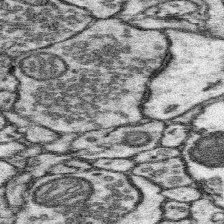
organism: Mouse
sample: Somatosensory cortex neuropil